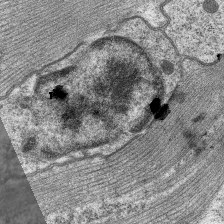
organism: C. elegans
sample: Pharynx